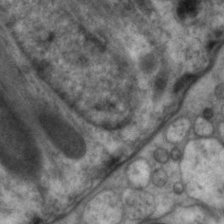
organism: C. elegans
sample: Pharynx